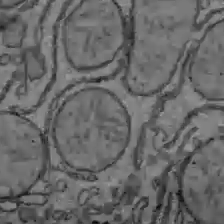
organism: C57BL Mouse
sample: Liver